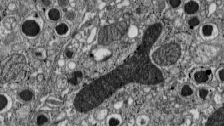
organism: C57BL Mouse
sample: Pancreatic islet